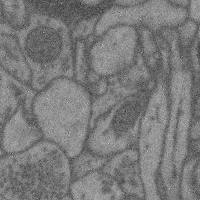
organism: Mouse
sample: Cerebral cortex